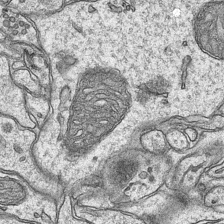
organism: Mouse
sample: CA1 Hippocampus